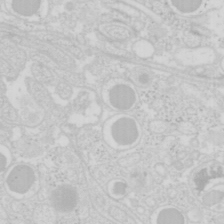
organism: Mouse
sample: Pancreas